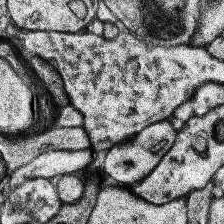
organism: Human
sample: Temporal Lobe